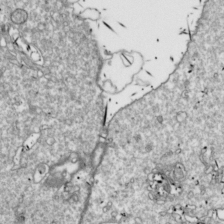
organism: Drosophila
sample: Cell division; meiosis; drosophila spermatocytes